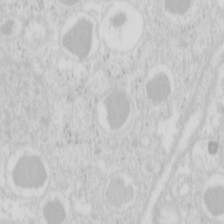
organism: Mouse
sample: Pancreas